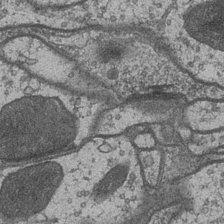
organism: Drosophila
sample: Optic medulla